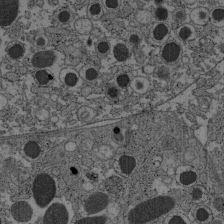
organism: C57BL Mouse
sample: Pancreatic islet